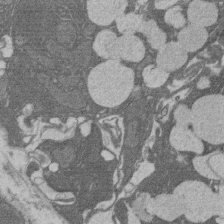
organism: Rat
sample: Salivary granule